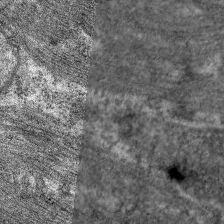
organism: C. elegans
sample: Pharynx